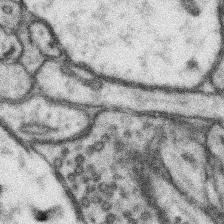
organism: Mouse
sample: Somatosensory cortex neuropil